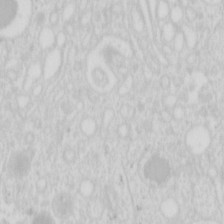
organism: Mouse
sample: Pancreas